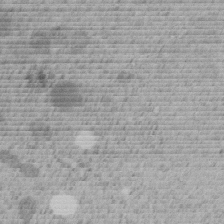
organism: C. elegans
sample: C. elegans embryo early stage